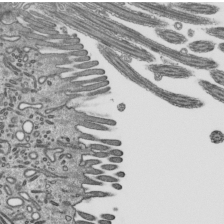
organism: Mouse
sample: Mouse epididymis efferent ductule cilia